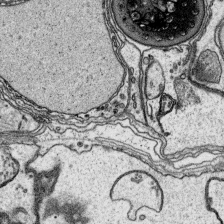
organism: Platynereis dumerilii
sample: Parapodia